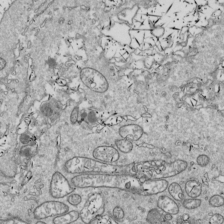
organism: Drosophila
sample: Cell division; meiosis; drosophila spermatocytes